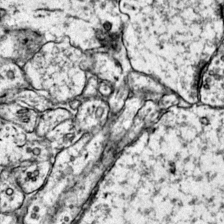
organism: Mouse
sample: Primary visual cortex